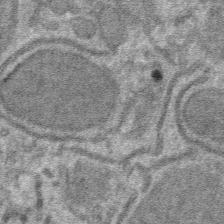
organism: Mouse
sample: Mouse hepatocytes